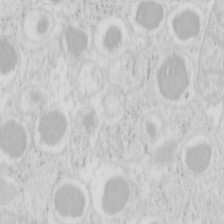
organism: Mouse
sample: Pancreas